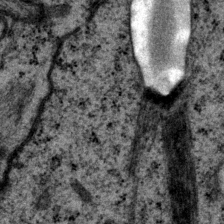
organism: P. pacificus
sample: Pharynx